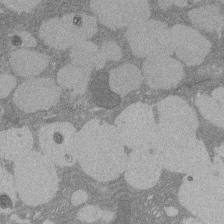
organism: Rat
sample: Salivary granule